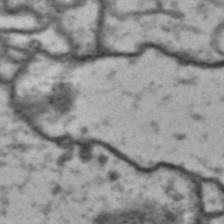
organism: Drosophila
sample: Brain